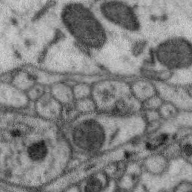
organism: Zebra finch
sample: Brain